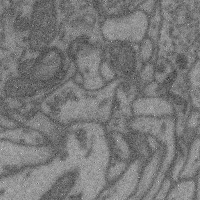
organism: Mouse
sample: Cerebral cortex